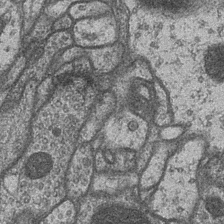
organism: Drosophila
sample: Optic medulla